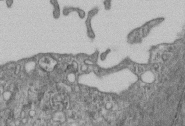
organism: Mouse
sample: Centriole in ependymal cells